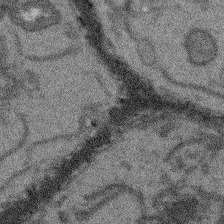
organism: Arabidopsis thaliana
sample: Root tip